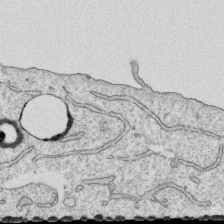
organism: Human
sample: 1205lu cells